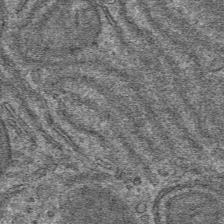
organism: Mouse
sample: Mouse hepatocytes